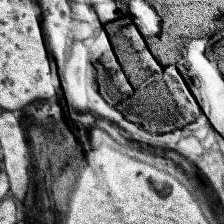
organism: Human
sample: Temporal Lobe